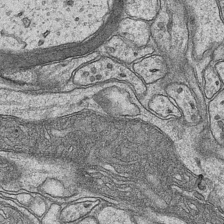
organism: Mouse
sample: CA1 Hippocampus